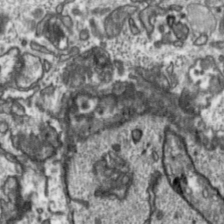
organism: Toxoplasma gondii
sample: Parasites in a vacuole inside a host cell